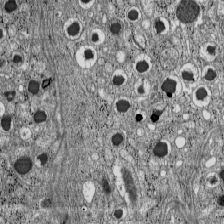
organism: C57BL Mouse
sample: Pancreatic islet